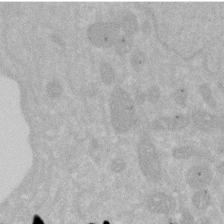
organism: Human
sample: HIV infected U937 cells